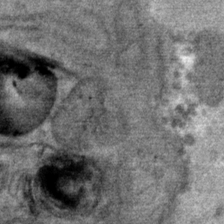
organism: Mouse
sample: Mouse Salivary gland